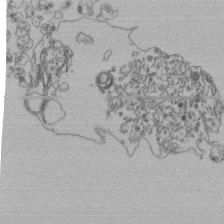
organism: Human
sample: Retinal organoid Rod and Cone cells